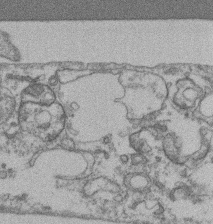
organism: Mouse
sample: T cell stromal cell synapse